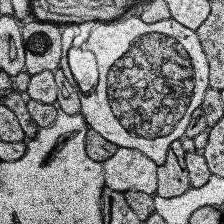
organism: Human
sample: Temporal Lobe